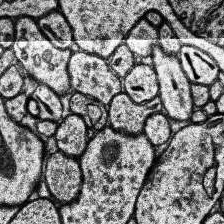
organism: Human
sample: Temporal Lobe